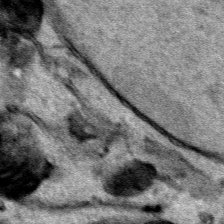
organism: Human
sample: Mitochondria in HCT116 cells